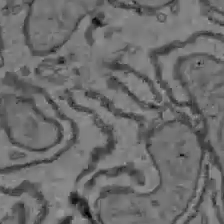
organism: C57BL Mouse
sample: Liver